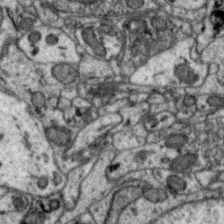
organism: Zebra finch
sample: Brain